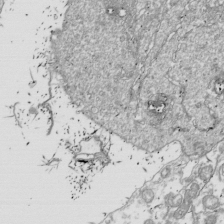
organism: Drosophila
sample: Cell division; meiosis; drosophila spermatocytes